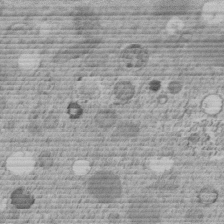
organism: C. elegans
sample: C. elegans embryo early stage